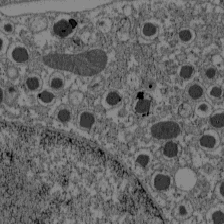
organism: C57BL Mouse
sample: Pancreatic islet